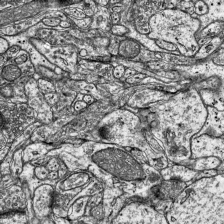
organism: Mouse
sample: Visual Cortex